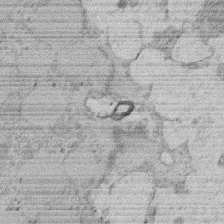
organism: Rat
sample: Salivary granule